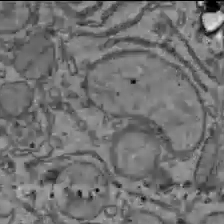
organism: C57BL Mouse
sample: Liver